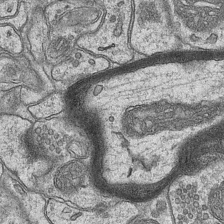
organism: Mouse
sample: CA1 Hippocampus